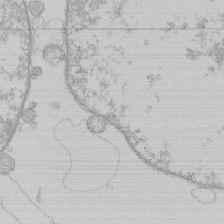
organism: Human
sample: Macrophage cells